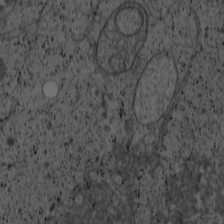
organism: African green monkey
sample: COS-7 cells